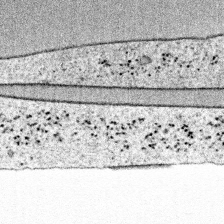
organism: Human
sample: HeLa cells